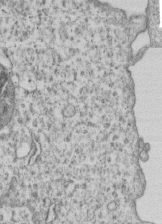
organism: Human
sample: MDA-MB-231 cells